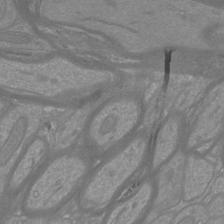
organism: Mouse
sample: Cortical neurons